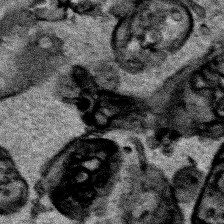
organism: Human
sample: Mitochondria in HCT116 cells